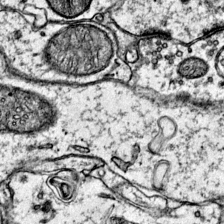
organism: Mouse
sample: Primary visual cortex